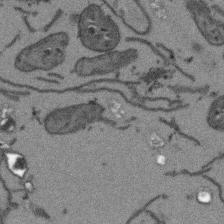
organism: Arabidopsis thaliana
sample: Root tip